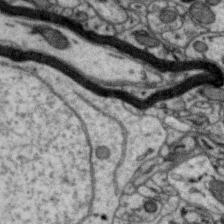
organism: Zebra finch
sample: Brain